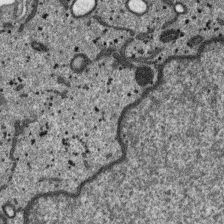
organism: Human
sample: Lung epithelial cells infected with SARS-CoV-2